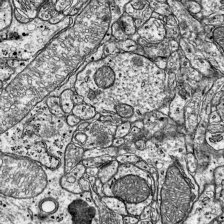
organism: Mouse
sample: Visual Cortex